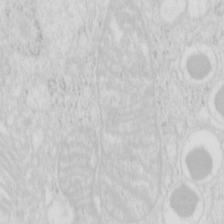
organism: Mouse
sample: Pancreas